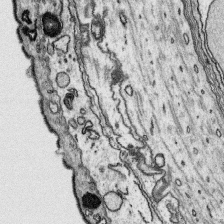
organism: Platynereis dumerilii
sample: Parapodia